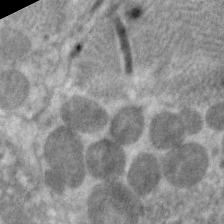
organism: C. elegans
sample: Pharynx